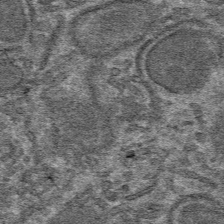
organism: Mouse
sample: Mouse hepatocytes